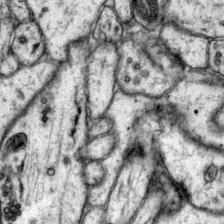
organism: Mouse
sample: Primary visual cortex